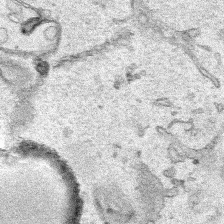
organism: Human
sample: Mitochondria in HCT116 cells